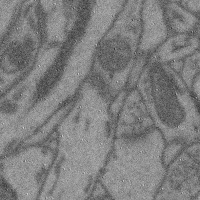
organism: Mouse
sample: Cerebral cortex